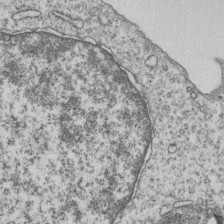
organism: Human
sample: MDA-MB-231 cells